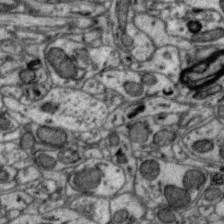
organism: Zebra finch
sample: Brain